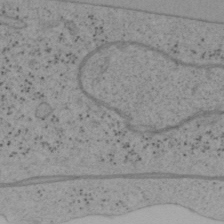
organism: Human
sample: HeLa cells